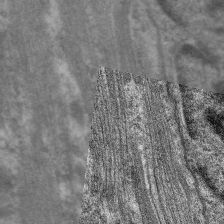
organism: C. elegans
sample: Pharynx